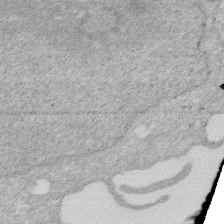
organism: Human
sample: HIV infected U937 cells